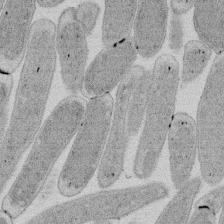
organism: E. coli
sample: Bacterial nucleoid